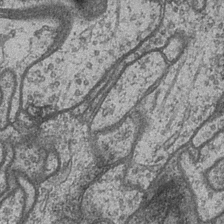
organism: Drosophila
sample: Optic medulla